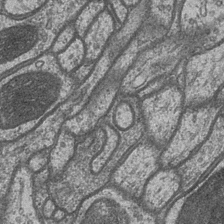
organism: Drosophila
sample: Optic medulla